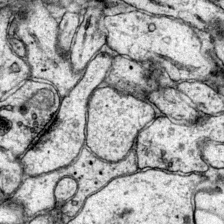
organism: Mouse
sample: Primary visual cortex